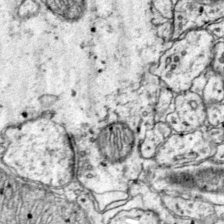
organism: Mouse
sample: Primary visual cortex